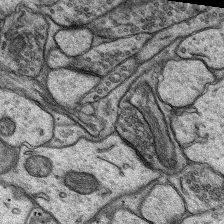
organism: Rat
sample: Hippocampus